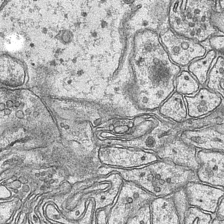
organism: Mouse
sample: CA1 Hippocampus